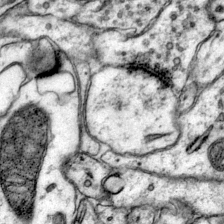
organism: Mouse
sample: Primary visual cortex